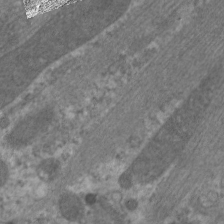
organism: C. elegans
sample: Pharynx